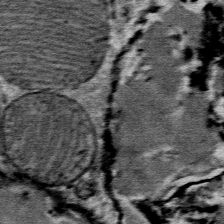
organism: Mouse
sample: Mouse Salivary gland